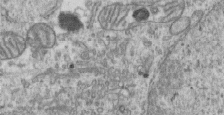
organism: Human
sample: Centriole in RPE cells